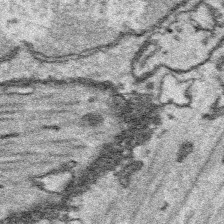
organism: Platynereis dumerilii